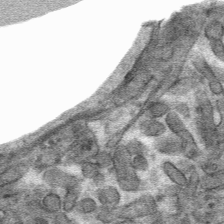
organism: Mouse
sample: Mouse hepatocytes